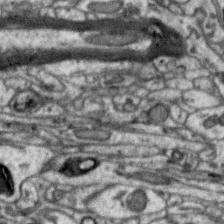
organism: Zebra finch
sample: Brain